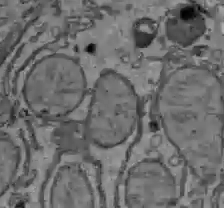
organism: C57BL Mouse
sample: Liver